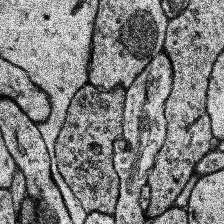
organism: Human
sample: Temporal Lobe